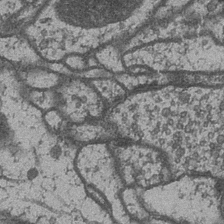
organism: Drosophila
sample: Optic medulla